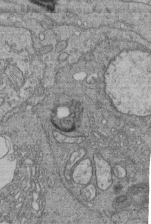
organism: Human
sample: Retinal organoid Rod and Cone cells